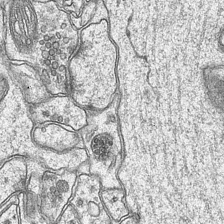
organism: Mouse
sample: CA1 Hippocampus